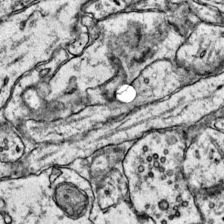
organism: Mouse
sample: Primary visual cortex